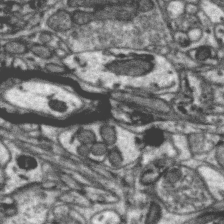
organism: Zebra finch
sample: Brain